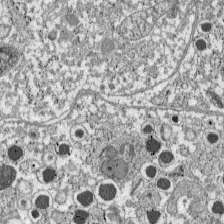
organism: C57BL Mouse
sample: Pancreatic islet